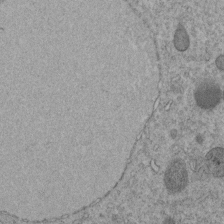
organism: C. elegans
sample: C. elegans embryo early stage